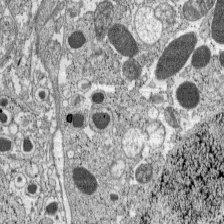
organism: C57BL Mouse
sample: Pancreatic islet